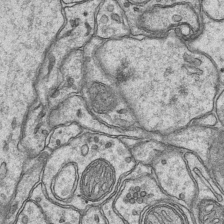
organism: Mouse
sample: CA1 Hippocampus